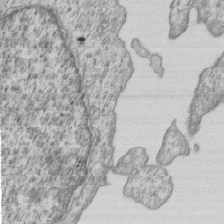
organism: Human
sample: MDA-MB-231 cells